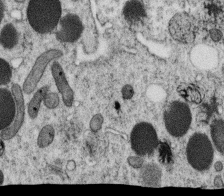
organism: C. elegans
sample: C. elegans oocyte; sperm cells